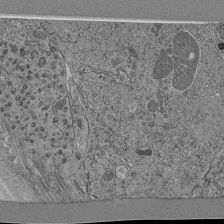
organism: C. elegans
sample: C. elegans pharynx